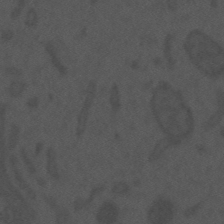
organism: Mouse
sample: Suprachiasmatic nucleus